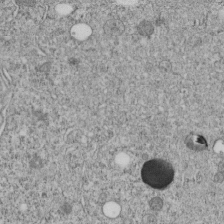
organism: C. elegans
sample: C. elegans embryo early stage